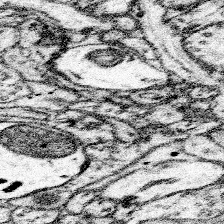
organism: Mouse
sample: Somatosensory cortex neuropil